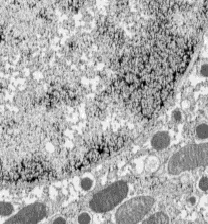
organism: C57BL Mouse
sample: Pancreatic islet